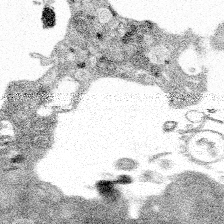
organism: Spongilla lacustris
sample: Multiple